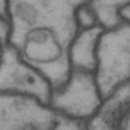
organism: Drosophila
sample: Brain